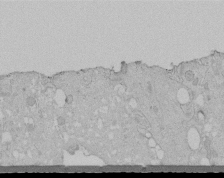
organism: Human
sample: Melanocyte Keratinocyte synapse skin construct